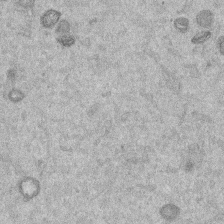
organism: Mouse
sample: Dividing mouse embryo 1 cell stage